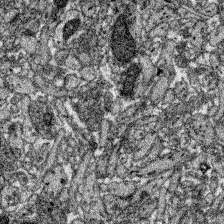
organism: Zebrafish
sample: Larval olfactory bulb